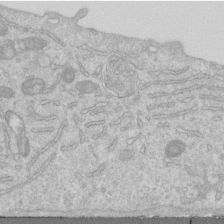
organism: Human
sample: Centriole in RPE cells